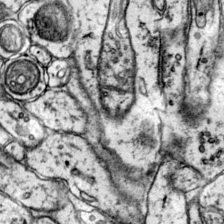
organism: Mouse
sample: Primary visual cortex